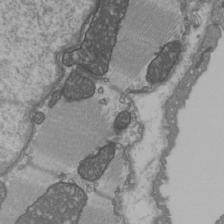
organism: C57BL Mouse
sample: Heart